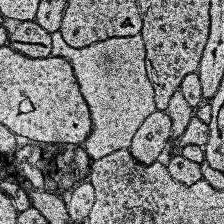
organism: Human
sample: Temporal Lobe